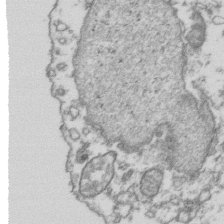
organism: Human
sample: Activated Jurkat CD4+ T cells